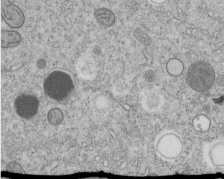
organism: C. elegans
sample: C. elegans embryo early stage